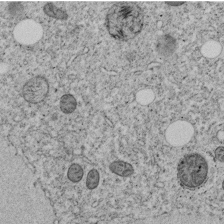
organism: C. elegans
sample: C. elegans embryo early stage